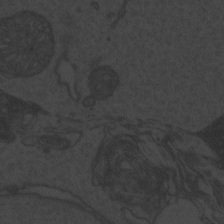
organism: Zebrafish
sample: Macrophage infected with Toxoplasma gondii